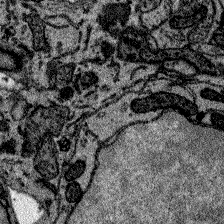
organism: Zebrafish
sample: Larval olfactory bulb